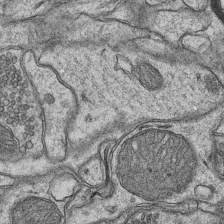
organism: Mouse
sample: CA1 Hippocampus